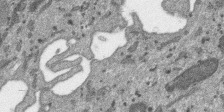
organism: Human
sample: Lung epithelial cells infected with SARS-CoV-2